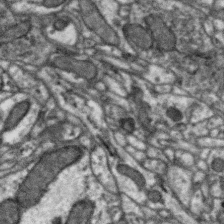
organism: Zebra finch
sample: Brain